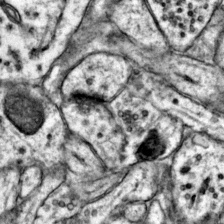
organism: Mouse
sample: Primary visual cortex